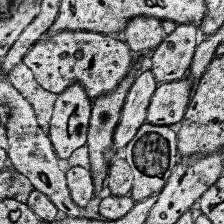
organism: Human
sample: Temporal Lobe